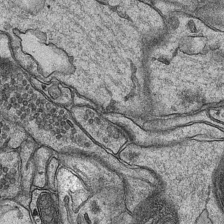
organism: Mouse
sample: CA1 Hippocampus